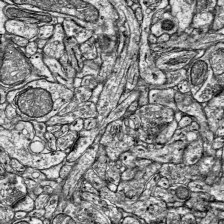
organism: Mouse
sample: Visual Cortex